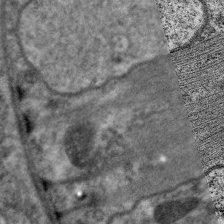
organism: C. elegans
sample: Pharynx